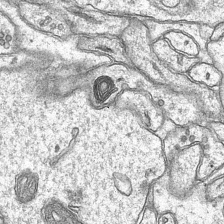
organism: Mouse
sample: CA1 Hippocampus